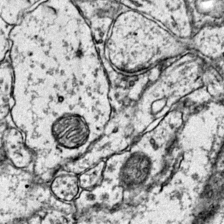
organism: Mouse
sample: Primary visual cortex